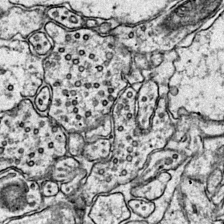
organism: Mouse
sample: Primary visual cortex